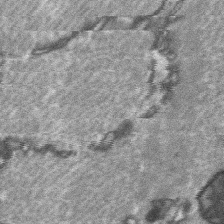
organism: C57BL Mouse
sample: Soleus